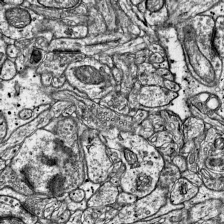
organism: Mouse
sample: Visual Cortex